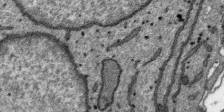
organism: Human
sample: Lung epithelial cells, uninfected (mock) control